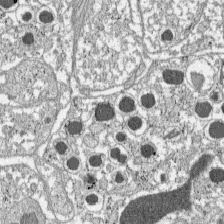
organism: C57BL Mouse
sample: Pancreatic islet